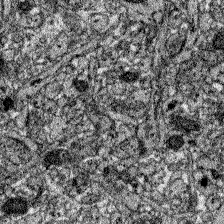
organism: Zebrafish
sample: Larval olfactory bulb